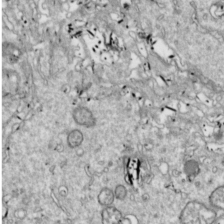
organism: Drosophila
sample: Cell division; meiosis; drosophila spermatocytes